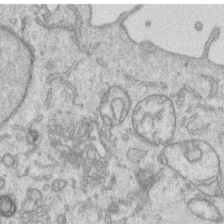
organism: Human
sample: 1205lu cells